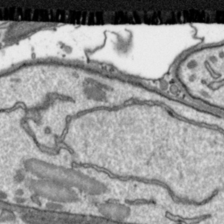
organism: Toxoplasma gondii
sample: Parasites in a vacuole inside a host cell